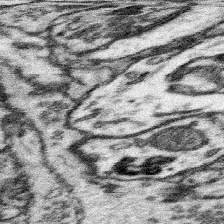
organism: Mouse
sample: Somatosensory cortex neuropil